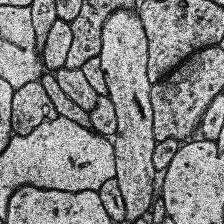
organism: Human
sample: Temporal Lobe